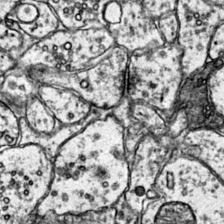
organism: Mouse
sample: Primary visual cortex